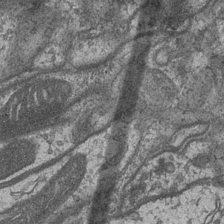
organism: Drosophila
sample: Optic medulla